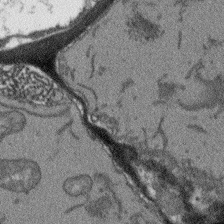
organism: Arabidopsis thaliana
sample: Root tip